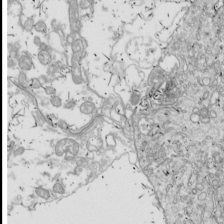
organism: Drosophila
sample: Cell division; meiosis; drosophila spermatocytes